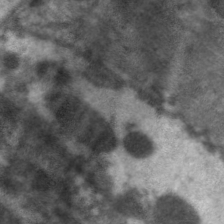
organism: C. elegans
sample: Pharynx